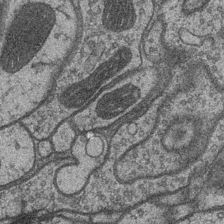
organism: Drosophila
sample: Optic medulla